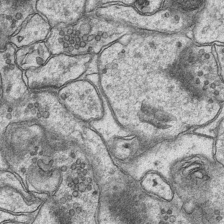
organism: Mouse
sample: CA1 Hippocampus